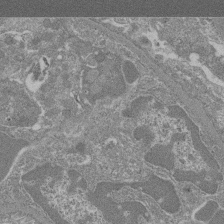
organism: Mouse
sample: Glomerulus